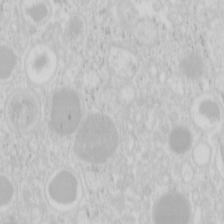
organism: Mouse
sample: Pancreas